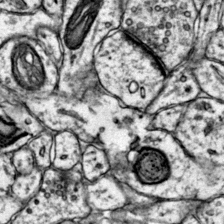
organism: Mouse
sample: Primary visual cortex